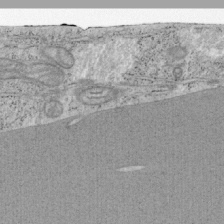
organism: Human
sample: HeLa cells